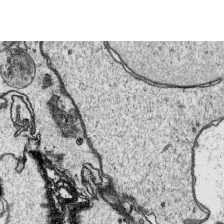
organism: Platynereis dumerilii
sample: Parapodia